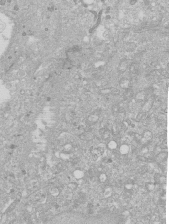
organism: Human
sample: Caco-2 cells